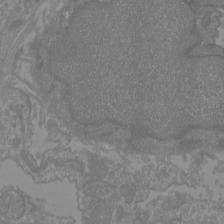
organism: Mouse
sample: Cortical neurons